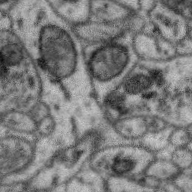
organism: Zebra finch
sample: Brain